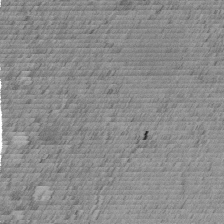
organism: C. elegans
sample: C. elegans embryo early stage